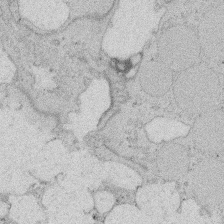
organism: Rat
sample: Salivary granule